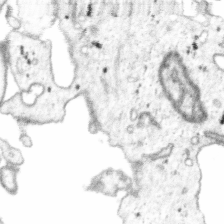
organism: Human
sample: HeLa cells